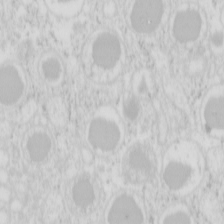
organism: Mouse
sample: Pancreas